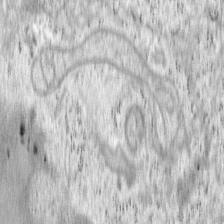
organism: Human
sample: HeLa cells